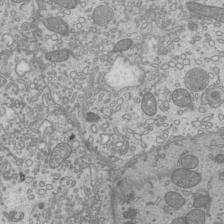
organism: Mouse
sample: Cilia; mouse epididymis